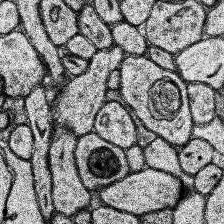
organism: Human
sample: Temporal Lobe